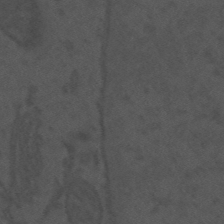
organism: Mouse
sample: Suprachiasmatic nucleus